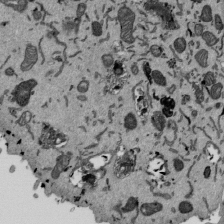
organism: Mouse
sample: ED-1 cell nuclei; centrioles